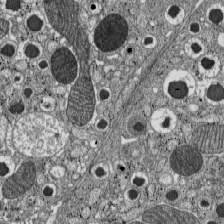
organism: C57BL Mouse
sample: Pancreatic islet